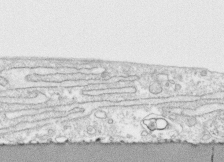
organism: Human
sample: CRL-1474